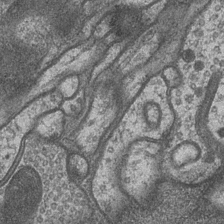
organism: Drosophila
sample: Optic medulla